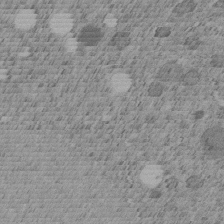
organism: C. elegans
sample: C. elegans embryo early stage